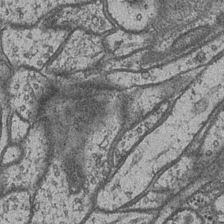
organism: Drosophila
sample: Optic medulla